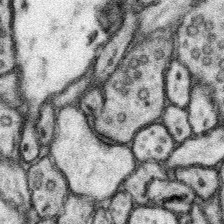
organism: Mouse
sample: Somatosensory cortex neuropil